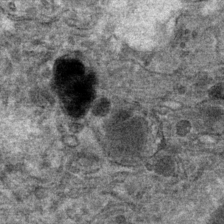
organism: Mouse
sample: Mouse Salivary gland